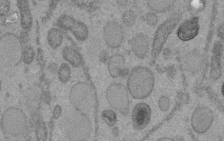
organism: C. elegans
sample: C. elegans embryo early stage